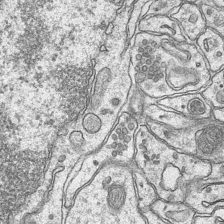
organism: Mouse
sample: CA1 Hippocampus